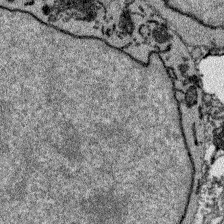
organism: Zebrafish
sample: Larval olfactory bulb